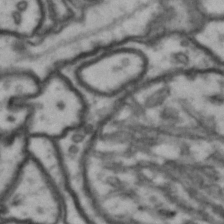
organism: Drosophila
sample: Brain